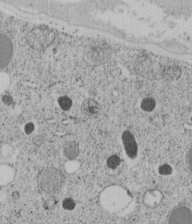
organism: C. elegans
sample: C. elegans embryo early stage